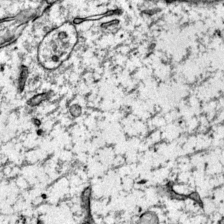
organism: Mouse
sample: Primary visual cortex